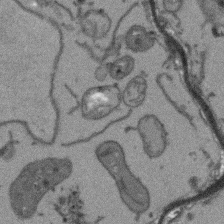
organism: Arabidopsis thaliana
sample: Root tip